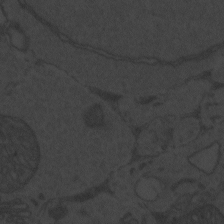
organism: Zebrafish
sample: Macrophage infected with Toxoplasma gondii